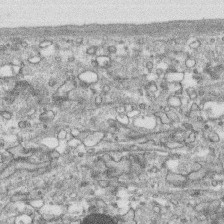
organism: Human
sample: CRL-1474